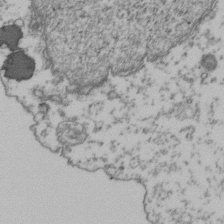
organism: Human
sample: Activated Jurkat CD4+ T cells